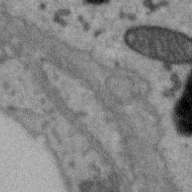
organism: Zebra finch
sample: Brain